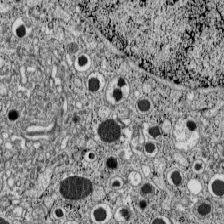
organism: C57BL Mouse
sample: Pancreatic islet